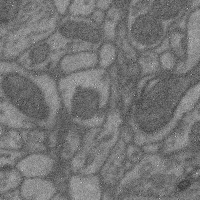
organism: Mouse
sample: Cerebral cortex